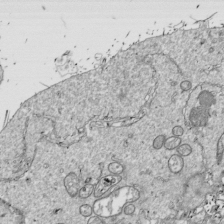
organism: Drosophila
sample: Cell division; meiosis; drosophila spermatocytes